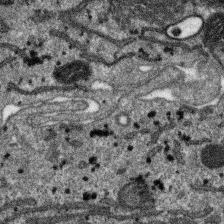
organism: Human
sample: Lung epithelial cells infected with SARS-CoV-2